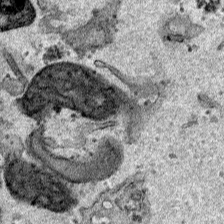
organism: Human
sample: Mitochondria in HCT116 cells